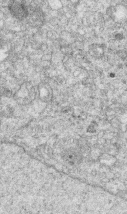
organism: Human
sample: HeLa cell HIV synapse